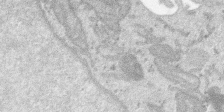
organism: Human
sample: Lung epithelial cells infected with SARS-CoV-2